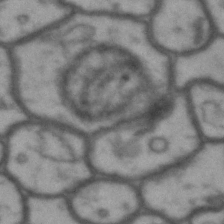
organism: Drosophila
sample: Brain